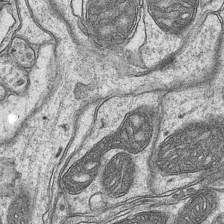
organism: Mouse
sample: CA1 Hippocampus